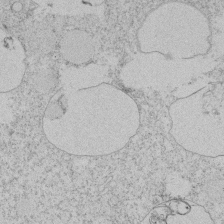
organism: Tetrahymena